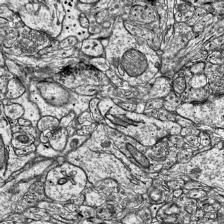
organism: Mouse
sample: Visual Cortex